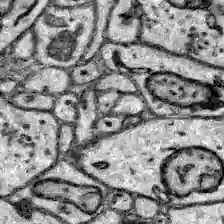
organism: Zebrafish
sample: Brain